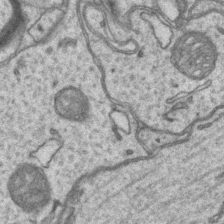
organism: Mouse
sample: CA1 Hippocampus